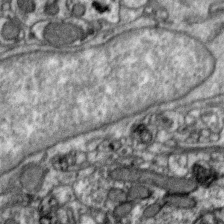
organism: Zebra finch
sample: Brain